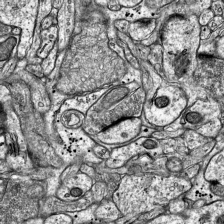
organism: Mouse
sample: Visual Cortex